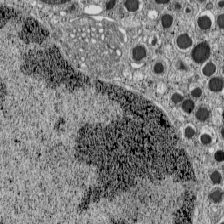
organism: C57BL Mouse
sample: Pancreatic islet